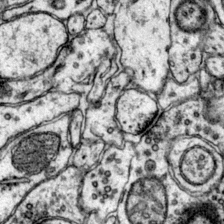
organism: Mouse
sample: Primary visual cortex